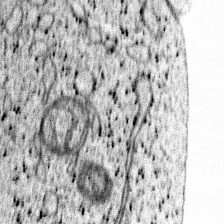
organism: Human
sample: HeLa cells